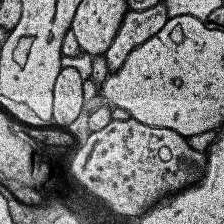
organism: Human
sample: Temporal Lobe